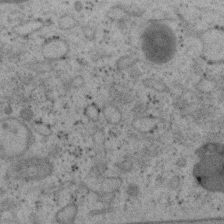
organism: Human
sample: HeLa cells